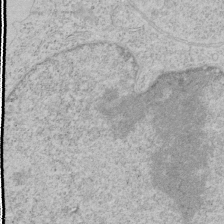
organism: Human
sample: Mitochondria in HCT116 cells